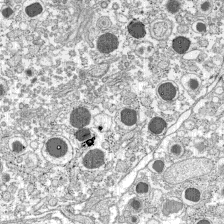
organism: C57BL Mouse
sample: Pancreatic islet